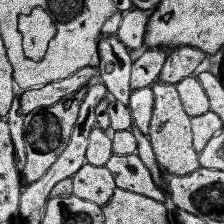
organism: Human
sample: Temporal Lobe